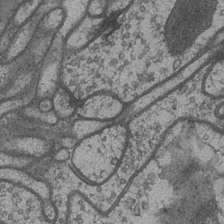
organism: Drosophila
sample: Optic medulla